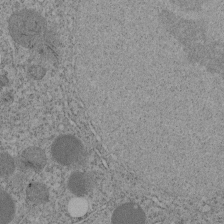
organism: C. elegans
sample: C. elegans embryo early stage